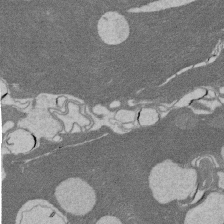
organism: Rat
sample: Salivary granule